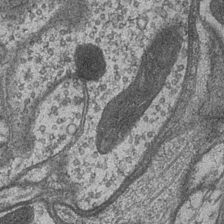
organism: Drosophila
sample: Optic medulla